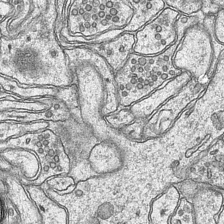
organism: Mouse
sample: CA1 Hippocampus